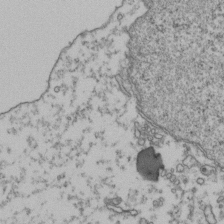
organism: Human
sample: Activated Jurkat CD4+ T cells